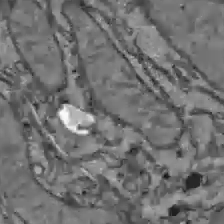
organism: C57BL Mouse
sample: Liver